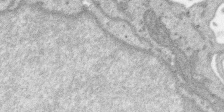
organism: Human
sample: Lung epithelial cells infected with SARS-CoV-2